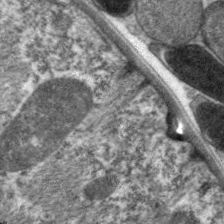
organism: C. elegans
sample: Pharynx